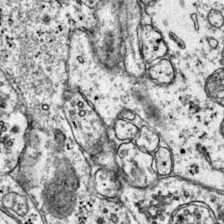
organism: Mouse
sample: Primary visual cortex